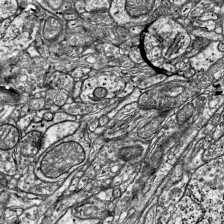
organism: Mouse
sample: Visual Cortex